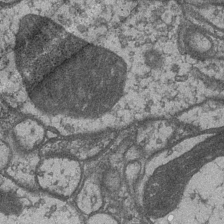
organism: Drosophila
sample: Optic medulla